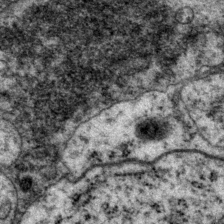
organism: P. pacificus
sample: Pharynx